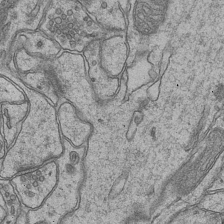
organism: Mouse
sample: CA1 Hippocampus